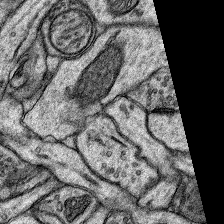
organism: Rat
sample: Hippocampus